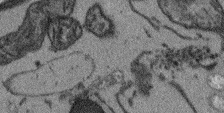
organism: Arabidopsis thaliana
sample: Root tip